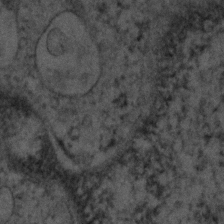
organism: Human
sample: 1205lu cells